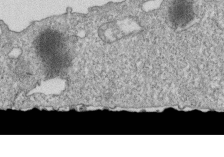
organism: Human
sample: HeLa cell HIV synapse